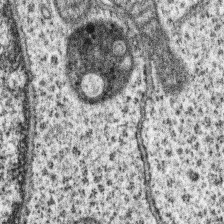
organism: Human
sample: HeLa cells